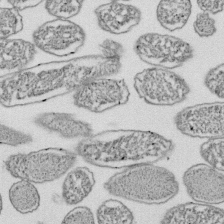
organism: E. coli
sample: Bacterial nucleoid